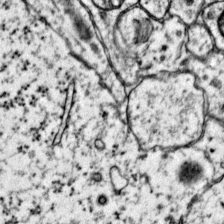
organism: Mouse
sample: Primary visual cortex